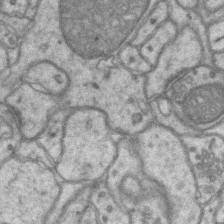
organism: Mouse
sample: CA1 Hippocampus